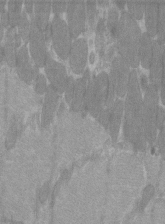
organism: C57BL Mouse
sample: Tibialis anterior muscle cell